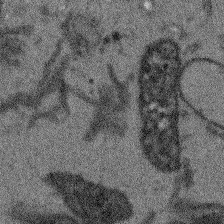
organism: Arabidopsis thaliana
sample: Root tip